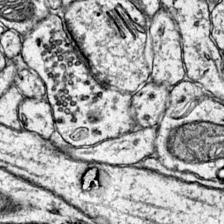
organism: Mouse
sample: Primary visual cortex